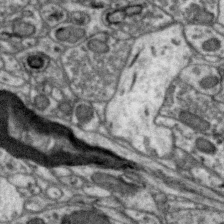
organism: Zebra finch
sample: Brain